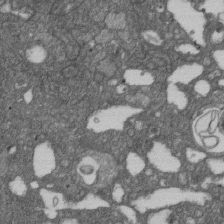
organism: Drosophila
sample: Nephrocyte